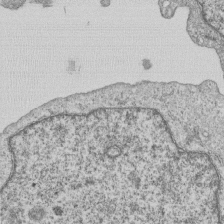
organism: Human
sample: MDA-MB-231 cells